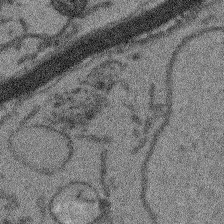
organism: Arabidopsis thaliana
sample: Root tip